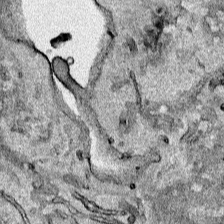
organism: Human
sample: Mitochondria in HCT116 cells